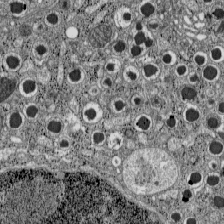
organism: C57BL Mouse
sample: Pancreatic islet